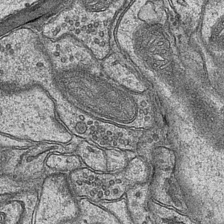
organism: Mouse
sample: CA1 Hippocampus